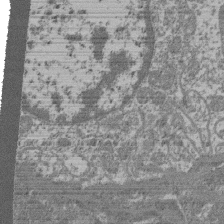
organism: Mouse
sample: Glomerulus